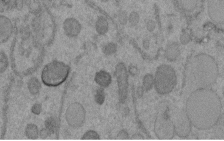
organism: C. elegans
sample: C. elegans embryo early stage